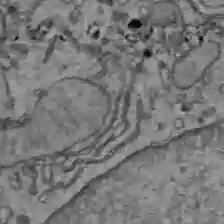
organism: C57BL Mouse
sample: Liver